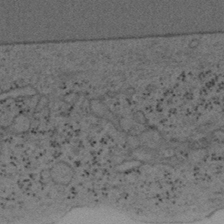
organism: Human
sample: HeLa cells